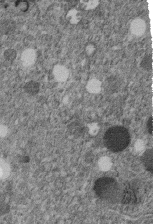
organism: C. elegans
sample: C. elegans embryo early stage